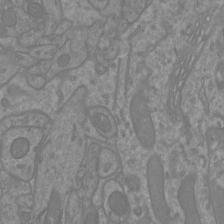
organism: Mouse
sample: Cortical neurons